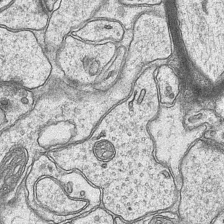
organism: Mouse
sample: CA1 Hippocampus